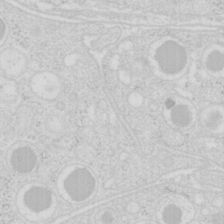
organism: Mouse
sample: Pancreas